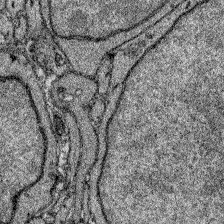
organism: Zebrafish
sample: Larval olfactory bulb